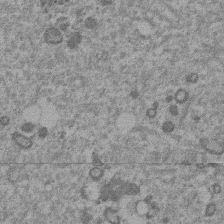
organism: Mouse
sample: Dividing mouse embryo 1 cell stage